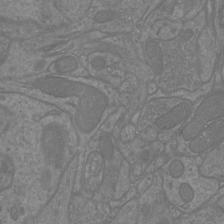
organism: Mouse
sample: Cortical neurons